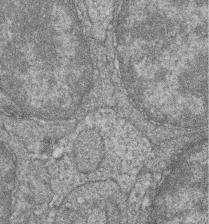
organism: Zebrafish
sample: Cilia; retinal pigment epithelium